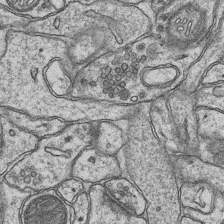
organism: Mouse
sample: CA1 Hippocampus